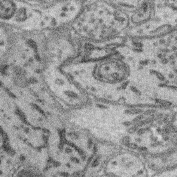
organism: Mouse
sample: Retina